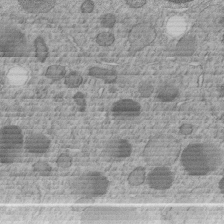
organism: C. elegans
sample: C. elegans embryo early stage